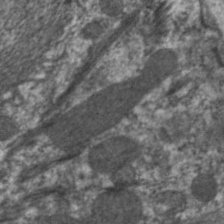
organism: C. elegans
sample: Pharynx